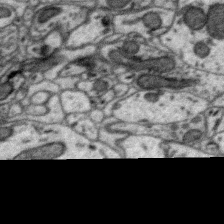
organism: Zebra finch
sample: Brain